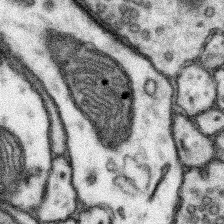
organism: Mouse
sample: Somatosensory cortex neuropil